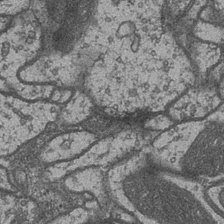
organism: Drosophila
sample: Optic medulla